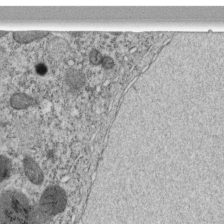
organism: C. elegans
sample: C. elegans embryo early stage